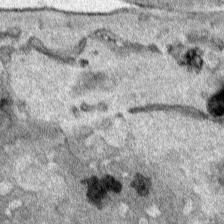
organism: Human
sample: Mitochondria in HCT116 cells